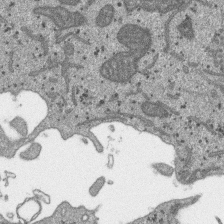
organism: Human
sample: Lung epithelial cells infected with SARS-CoV-2